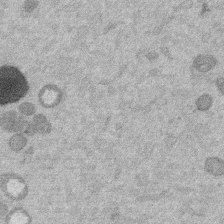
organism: Mouse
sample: Dividing mouse embryo 1 cell stage